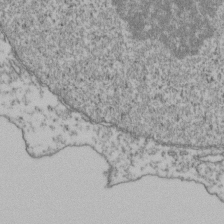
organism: Human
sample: Activated Jurkat CD4+ T cells